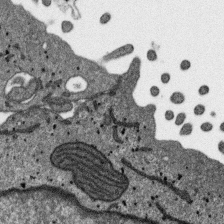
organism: Human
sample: Lung epithelial cells, uninfected (mock) control